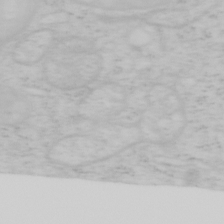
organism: Mouse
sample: OT-I killer T cells with ID8 ovarian cancer cells